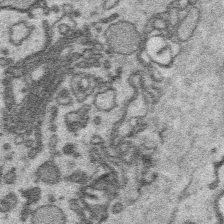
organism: Platynereis dumerilii